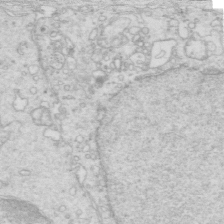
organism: Mouse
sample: Multiciliated cells